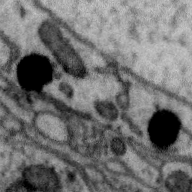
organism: Zebra finch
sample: Brain